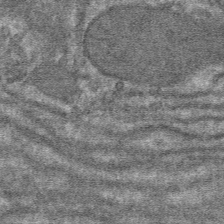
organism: Mouse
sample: Mouse hepatocytes